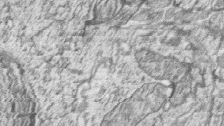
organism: Zebrafish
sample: synaptic ribbons in rod cells and cone cells